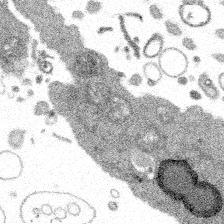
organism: Spongilla lacustris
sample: Multiple